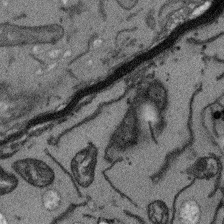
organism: Arabidopsis thaliana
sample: Root tip